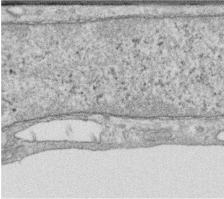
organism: Human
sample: Centriole in RPE cells